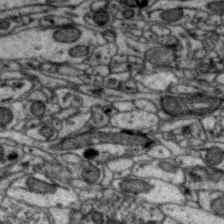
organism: Zebra finch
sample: Brain